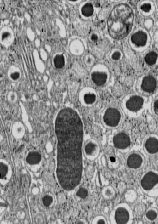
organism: C57BL Mouse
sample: Pancreatic islet